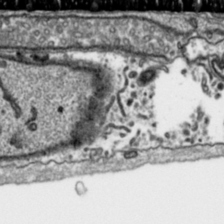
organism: Toxoplasma gondii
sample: Parasites in a vacuole inside a host cell